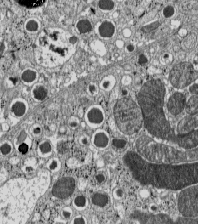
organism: C57BL Mouse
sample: Pancreatic islet